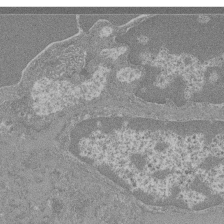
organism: Mouse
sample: Glomerulus